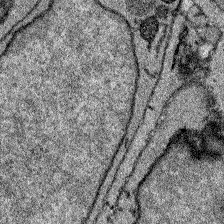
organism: Zebrafish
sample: Larval olfactory bulb